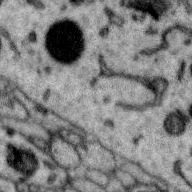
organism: Zebra finch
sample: Brain